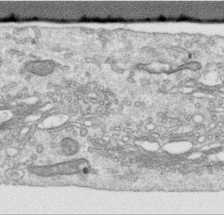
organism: Human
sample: Centriole in RPE cells